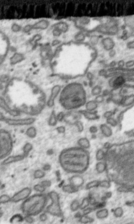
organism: Toxoplasma gondii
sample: Parasites in a vacuole inside a host cell